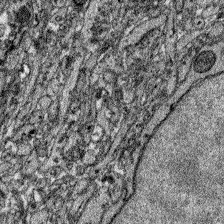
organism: Zebrafish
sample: Larval olfactory bulb